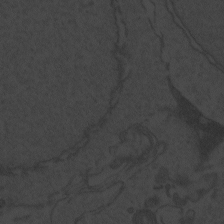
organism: Zebrafish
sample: Macrophage infected with Toxoplasma gondii